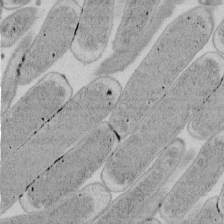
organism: E. coli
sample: Bacterial nucleoid